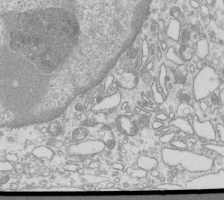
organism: Mouse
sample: Macrophages